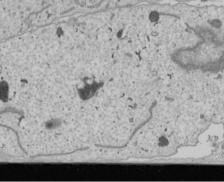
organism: Human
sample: Mitochondria in U2OS cells